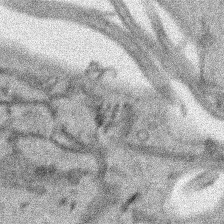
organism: Human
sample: Mitochondria in HCT116 cells